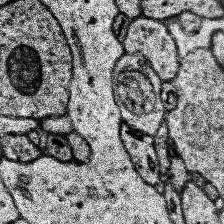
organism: Human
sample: Temporal Lobe